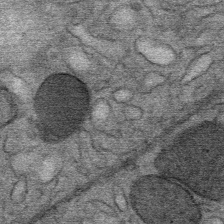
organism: Mouse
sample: Mouse Salivary gland